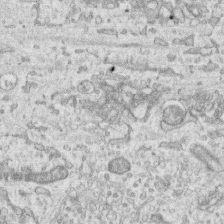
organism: Human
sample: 1205lu cells